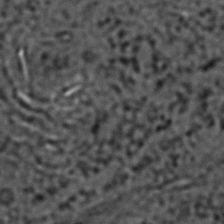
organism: C. elegans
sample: C. elegans embryo